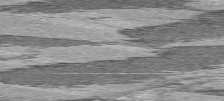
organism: C57BL Mouse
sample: Heart